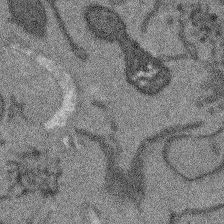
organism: Arabidopsis thaliana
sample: Root tip